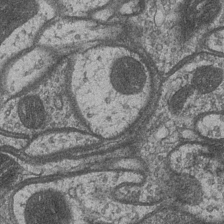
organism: Drosophila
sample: Optic medulla